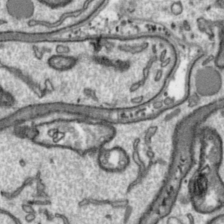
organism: Toxoplasma gondii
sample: Parasites in a vacuole inside a host cell